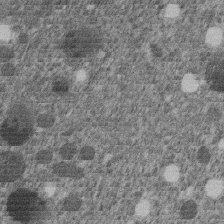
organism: C. elegans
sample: C. elegans embryo early stage